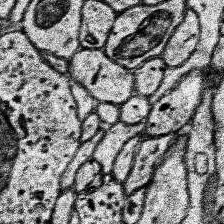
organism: Human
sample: Temporal Lobe